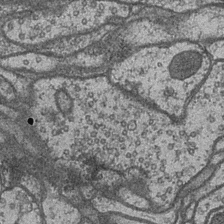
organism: Drosophila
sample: Optic medulla